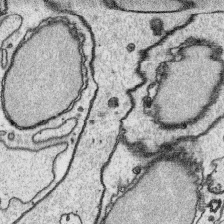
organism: Platynereis dumerilii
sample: Parapodia